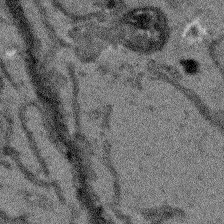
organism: Arabidopsis thaliana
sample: Root tip